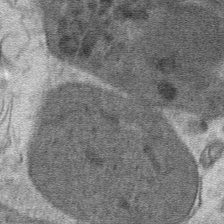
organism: Mouse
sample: Mouse hepatocytes